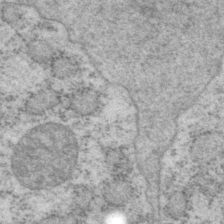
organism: P. pacificus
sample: Pharynx